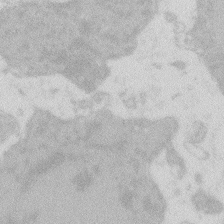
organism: Zebrafish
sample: Macrophage